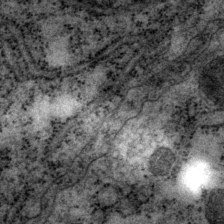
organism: P. pacificus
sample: Pharynx